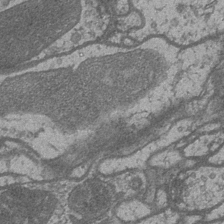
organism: Drosophila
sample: Optic medulla